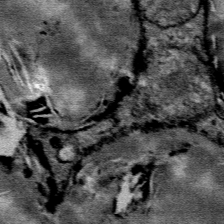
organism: Mouse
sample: Mouse Salivary gland